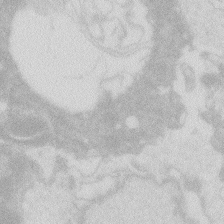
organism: Zebrafish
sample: Macrophage